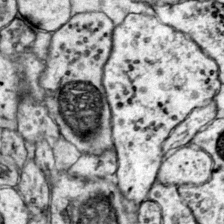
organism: Mouse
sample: Primary visual cortex